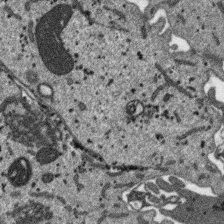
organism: Human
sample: Lung epithelial cells infected with SARS-CoV-2